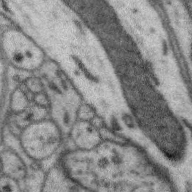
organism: Zebra finch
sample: Brain